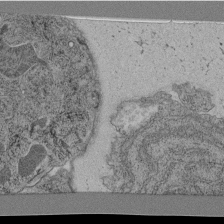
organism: C. elegans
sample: C. elegans pharynx